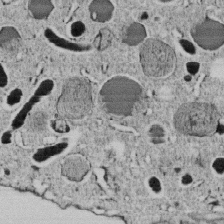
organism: C. elegans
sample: C. elegans embryo early stage